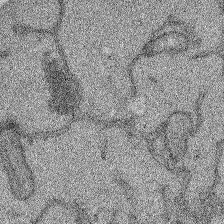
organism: Human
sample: HeLa cells